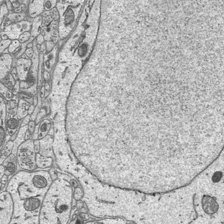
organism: Mouse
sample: Suprachiasmatic nucleus